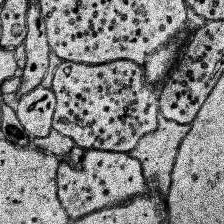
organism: Human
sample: Temporal Lobe